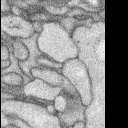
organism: Rabbit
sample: Retina